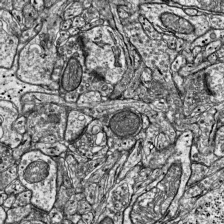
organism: Mouse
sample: Visual Cortex